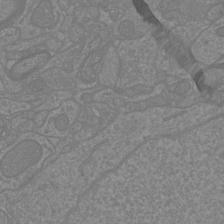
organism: Mouse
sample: Cortical neurons